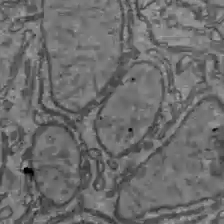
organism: C57BL Mouse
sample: Liver